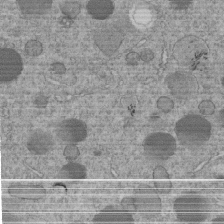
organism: C. elegans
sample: C. elegans embryo early stage